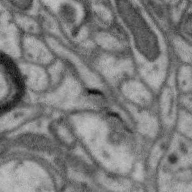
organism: Zebra finch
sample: Brain